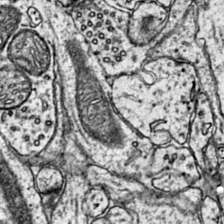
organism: Mouse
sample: Primary visual cortex